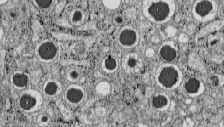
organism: C57BL Mouse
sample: Pancreatic islet